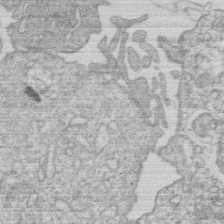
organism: Human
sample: Macrophage cells